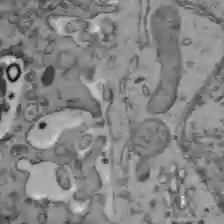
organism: C57BL Mouse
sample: Liver